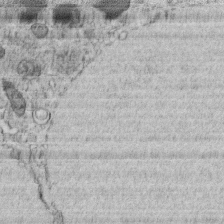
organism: C. elegans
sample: C. elegans embryo early stage